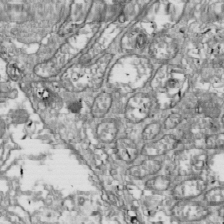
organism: Drosophila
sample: Cell division; meiosis; drosophila spermatocytes